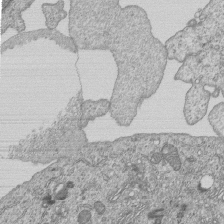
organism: Human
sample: MDA-MB-231 cells